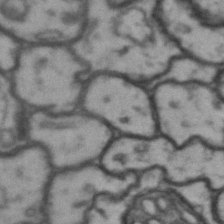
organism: Drosophila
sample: Brain